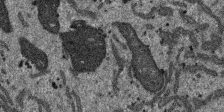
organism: Human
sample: Lung epithelial cells infected with SARS-CoV-2